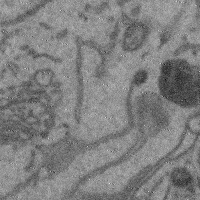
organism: Mouse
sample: Cerebral cortex